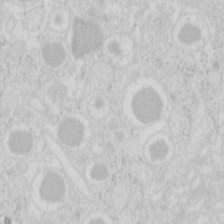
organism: Mouse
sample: Pancreas